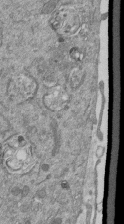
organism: Mouse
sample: ED-1 cell nuclei; centrioles